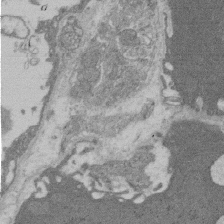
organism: Rat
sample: Salivary granule